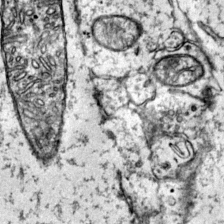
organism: Mouse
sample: Primary visual cortex